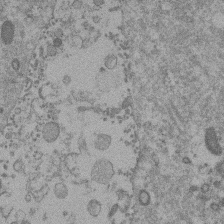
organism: Mouse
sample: Dividing mouse embryo 1 cell stage